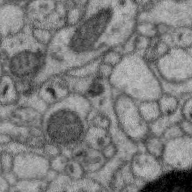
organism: Zebra finch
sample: Brain